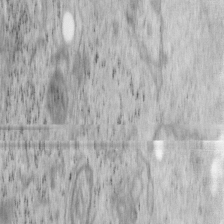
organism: Human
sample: HeLa cells